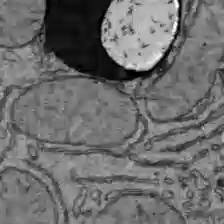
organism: C57BL Mouse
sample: Liver